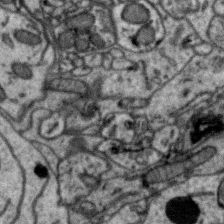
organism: Zebra finch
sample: Brain